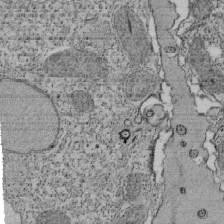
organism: Tetrahymena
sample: Cilia in tetrahymena